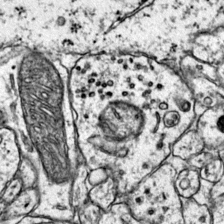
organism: Mouse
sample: Primary visual cortex